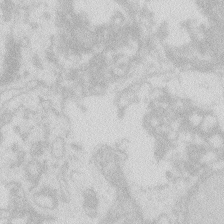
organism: Zebrafish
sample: Macrophage